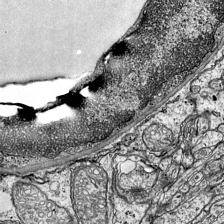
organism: Mouse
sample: Visual Cortex